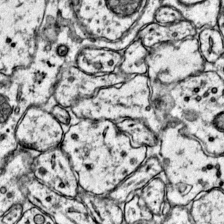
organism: Mouse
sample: Primary visual cortex